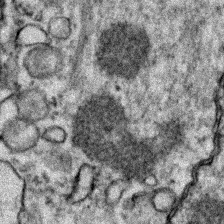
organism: Zebrafish